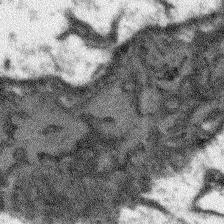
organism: Arabidopsis thaliana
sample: Root tip